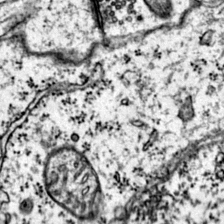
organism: Mouse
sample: Primary visual cortex